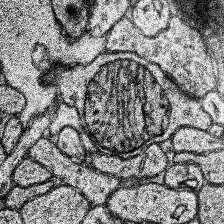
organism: Human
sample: Temporal Lobe